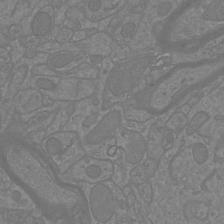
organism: Mouse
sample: Cortical neurons